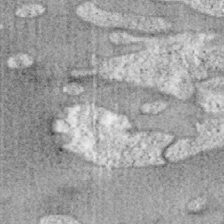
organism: Mouse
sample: OT-I killer T cells with ID8 ovarian cancer cells